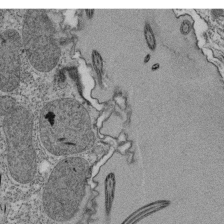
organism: Tetrahymena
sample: Cilia in tetrahymena